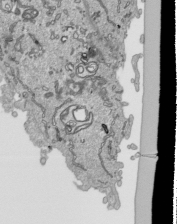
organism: Human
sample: Mitochondria in HCT116 cells